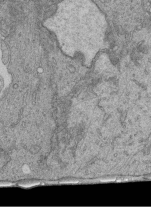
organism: Human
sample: Retinal organoid Rod and Cone cells